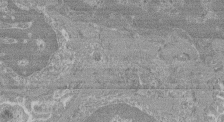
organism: Mouse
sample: Glomerulus